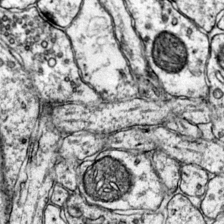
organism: Mouse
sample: Primary visual cortex